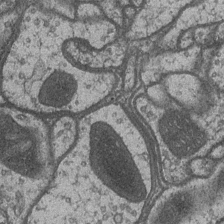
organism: Drosophila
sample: Optic medulla